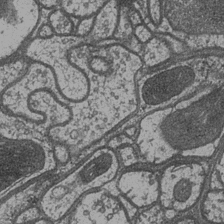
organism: Drosophila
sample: Optic medulla